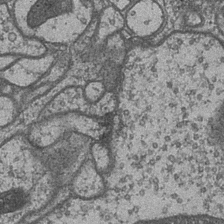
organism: Drosophila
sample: Optic medulla